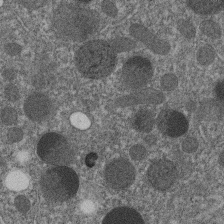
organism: C. elegans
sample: C. elegans embryo early stage